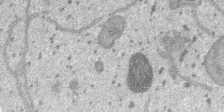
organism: Human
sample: Lung epithelial cells infected with SARS-CoV-2